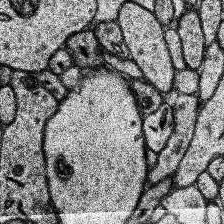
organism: Human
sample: Temporal Lobe